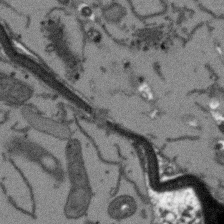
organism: Arabidopsis thaliana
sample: Root tip